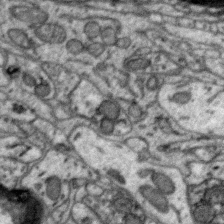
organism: Zebra finch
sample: Brain